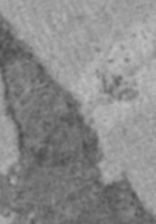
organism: C57BL Mouse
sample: Heart